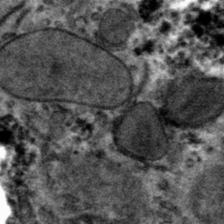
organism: Mouse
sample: Mouse hepatocytes